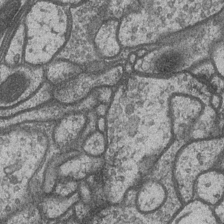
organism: Drosophila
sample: Optic medulla